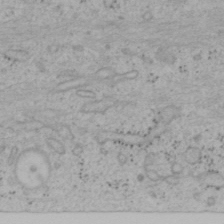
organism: Human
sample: HeLa cells